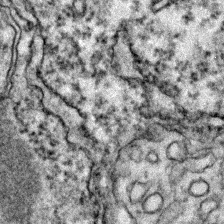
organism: Zebrafish